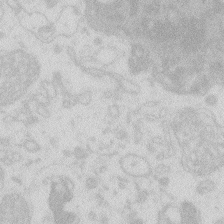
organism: Zebrafish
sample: Macrophage